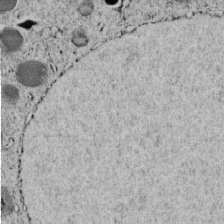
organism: C. elegans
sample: C. elegans embryo early stage